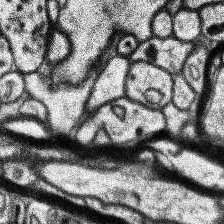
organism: Human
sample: Temporal Lobe